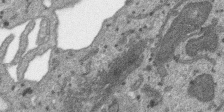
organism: Human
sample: Lung epithelial cells infected with SARS-CoV-2